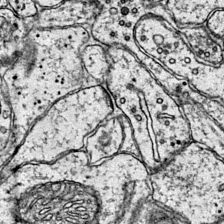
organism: Mouse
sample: Primary visual cortex